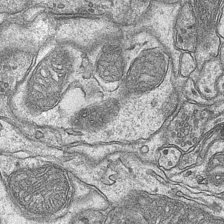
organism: Mouse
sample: CA1 Hippocampus